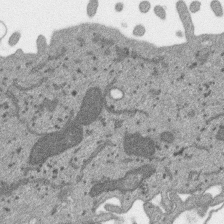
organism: Human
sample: Lung epithelial cells infected with SARS-CoV-2